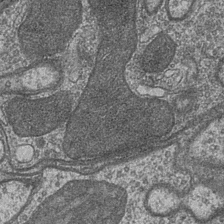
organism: Drosophila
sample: Optic medulla